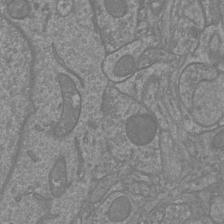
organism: Mouse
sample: Cortical neurons